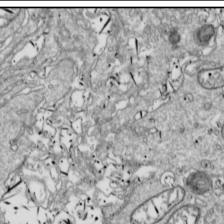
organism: Drosophila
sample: Cell division; meiosis; drosophila spermatocytes